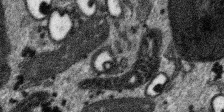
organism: Human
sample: Lung epithelial cells infected with SARS-CoV-2